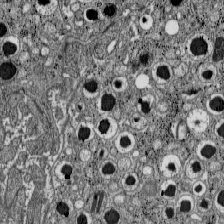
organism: C57BL Mouse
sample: Pancreatic islet